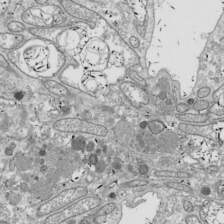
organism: Drosophila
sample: Cell division; meiosis; drosophila spermatocytes